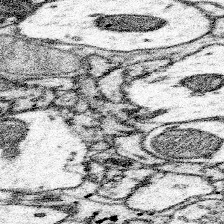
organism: Mouse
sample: Somatosensory cortex neuropil